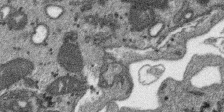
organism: Human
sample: Lung epithelial cells infected with SARS-CoV-2